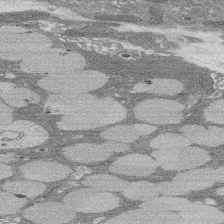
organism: Rat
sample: Salivary granule